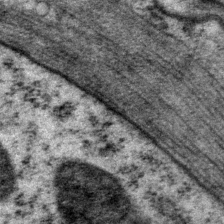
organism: P. pacificus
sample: Pharynx